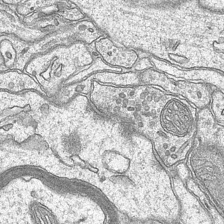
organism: Mouse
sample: CA1 Hippocampus